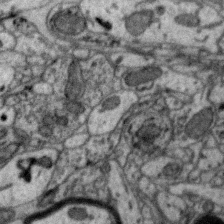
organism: Zebra finch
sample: Brain